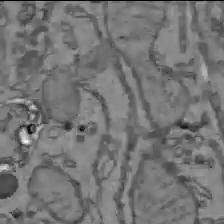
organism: C57BL Mouse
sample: Liver